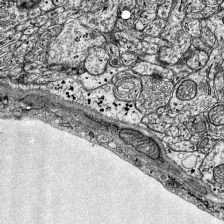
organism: Mouse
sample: Visual Cortex